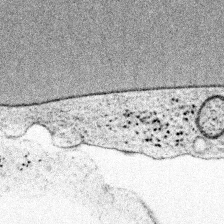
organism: Human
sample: HeLa cells